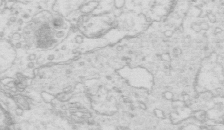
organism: Mouse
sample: Multiciliated cells